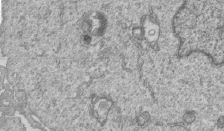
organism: Human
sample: MDA-MB-231 cells